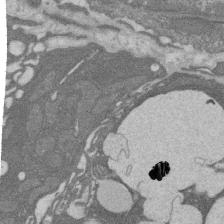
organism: Rat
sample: Salivary granule